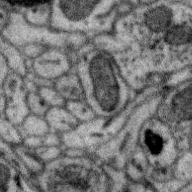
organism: Zebra finch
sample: Brain